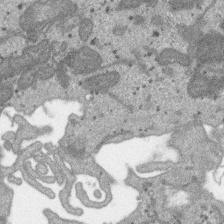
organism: Human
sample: Lung epithelial cells infected with SARS-CoV-2